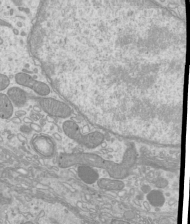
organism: Mouse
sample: Cilia; mouse epididymis